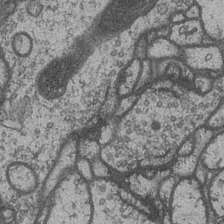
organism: Drosophila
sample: Optic medulla